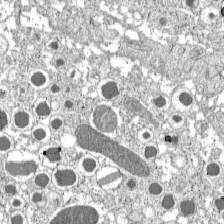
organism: C57BL Mouse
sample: Pancreatic islet